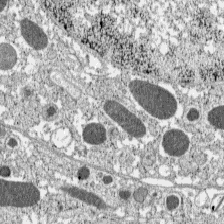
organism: C57BL Mouse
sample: Pancreatic islet